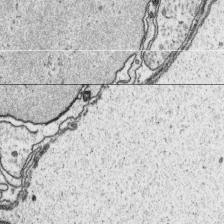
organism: Platynereis dumerilii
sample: Parapodia